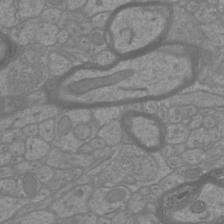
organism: Mouse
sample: Cortical neurons